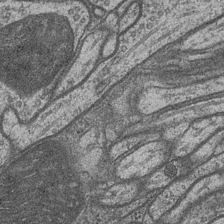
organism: Drosophila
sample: Optic medulla